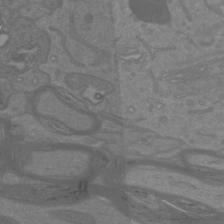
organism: Mouse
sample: Cortical neurons